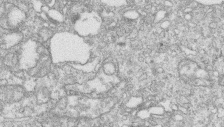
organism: Human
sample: HeLa cell HIV synapse